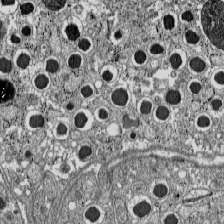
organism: C57BL Mouse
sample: Pancreatic islet